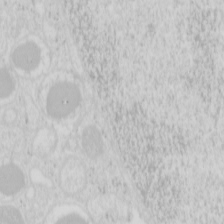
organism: Mouse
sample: Pancreas